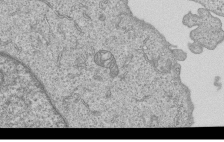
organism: Human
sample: MDA-MB-231 cells